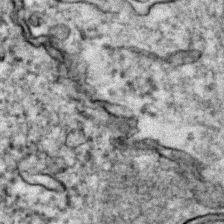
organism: Zebrafish